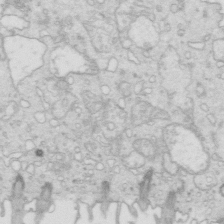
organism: Mouse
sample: Multiciliated cells